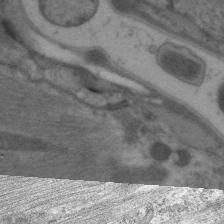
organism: C. elegans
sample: Pharynx